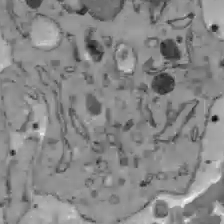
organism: C57BL Mouse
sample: Liver